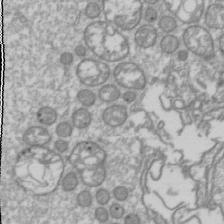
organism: Drosophila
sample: Cell division; meiosis; drosophila spermatocytes